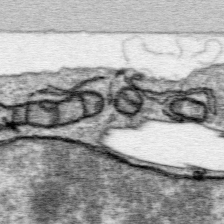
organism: Human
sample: HeLa cells